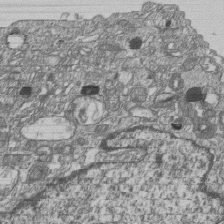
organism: Human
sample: MDA-MB-231 cells